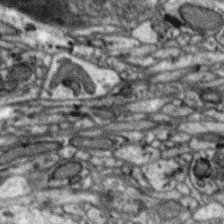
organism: Zebra finch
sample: Brain